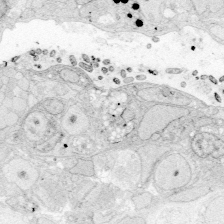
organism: Zebrafish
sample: Whole-Brain